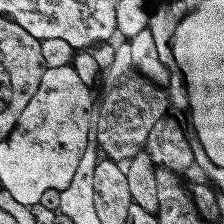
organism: Human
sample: Temporal Lobe